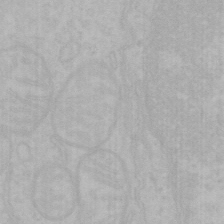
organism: Mouse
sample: Choroid plexus